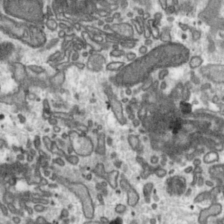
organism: Toxoplasma gondii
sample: Parasites in a vacuole inside a host cell